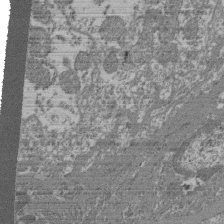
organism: Mouse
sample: Glomerulus